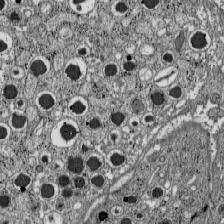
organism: C57BL Mouse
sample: Pancreatic islet